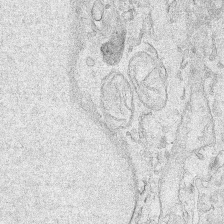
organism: Human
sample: Mitochondria in HCT116 cells